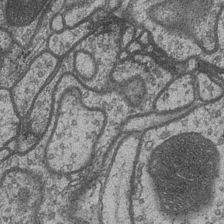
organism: Drosophila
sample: Optic medulla